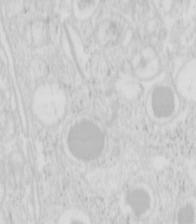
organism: Mouse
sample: Pancreas